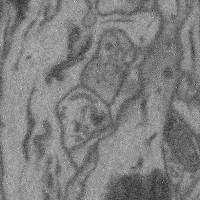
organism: Mouse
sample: Cerebral cortex